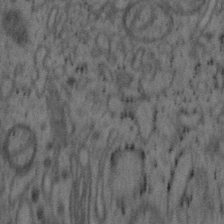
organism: Human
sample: HeLa cells